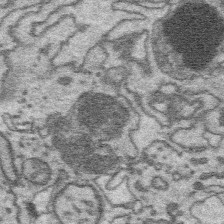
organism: Platynereis dumerilii